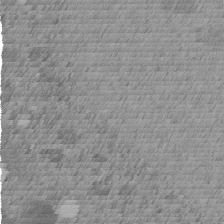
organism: C. elegans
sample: C. elegans embryo early stage